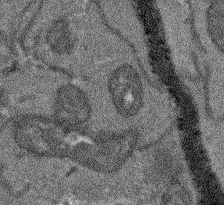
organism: Arabidopsis thaliana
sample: Root tip